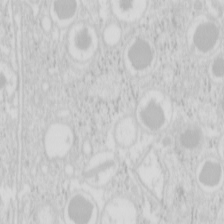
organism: Mouse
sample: Pancreas